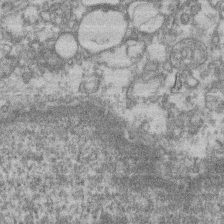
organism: Mouse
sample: T cell stromal cell synapse